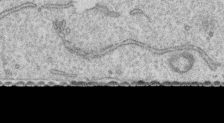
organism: Human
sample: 1205lu cells